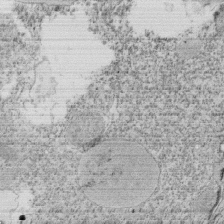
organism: Tetrahymena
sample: Cilia in tetrahymena